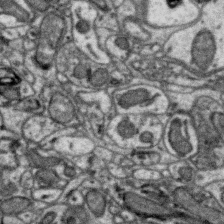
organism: Zebra finch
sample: Brain